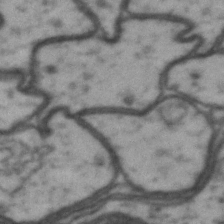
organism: Drosophila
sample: Brain